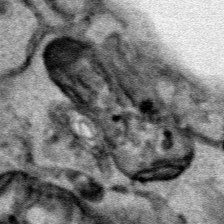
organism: Human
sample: Mitochondria in HCT116 cells